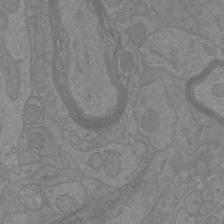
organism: Mouse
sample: Cortical neurons